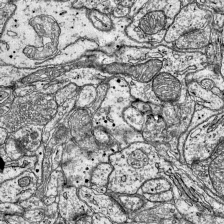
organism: Mouse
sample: Visual Cortex